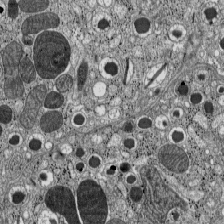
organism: C57BL Mouse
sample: Pancreatic islet